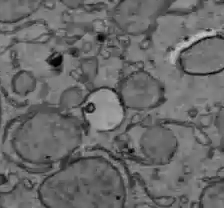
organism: C57BL Mouse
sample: Liver